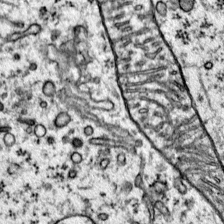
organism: Mouse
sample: Primary visual cortex